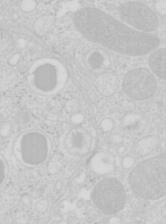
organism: Mouse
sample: Pancreas